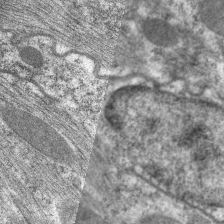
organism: C. elegans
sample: Pharynx